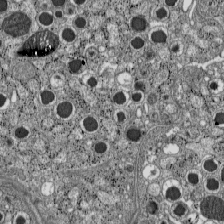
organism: C57BL Mouse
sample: Pancreatic islet